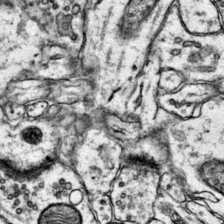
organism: Mouse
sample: Primary visual cortex